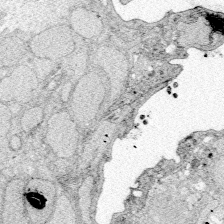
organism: Zebrafish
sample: Whole-Brain